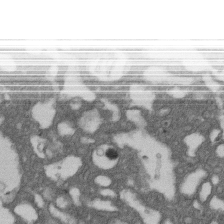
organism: Drosophila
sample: Nephrocyte